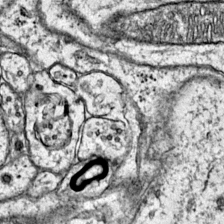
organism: Mouse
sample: Primary visual cortex